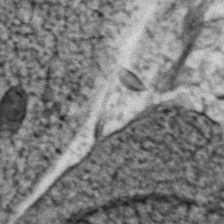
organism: Zebrafish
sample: Zebrafish embryo